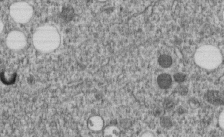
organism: C. elegans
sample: C. elegans embryo early stage